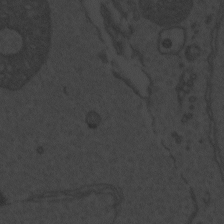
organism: Zebrafish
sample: Macrophage infected with Toxoplasma gondii